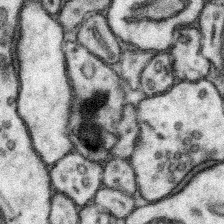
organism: Mouse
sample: Somatosensory cortex neuropil